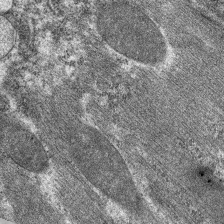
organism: C. elegans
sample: Pharynx